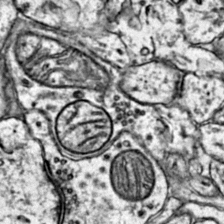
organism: Mouse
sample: Primary visual cortex